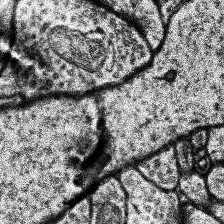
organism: Human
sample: Temporal Lobe